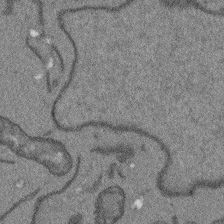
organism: Arabidopsis thaliana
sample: Root tip